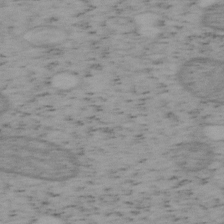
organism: Mouse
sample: OT-I killer T cells with ID8 ovarian cancer cells